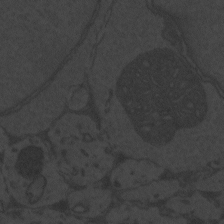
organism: Zebrafish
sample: Macrophage infected with Toxoplasma gondii